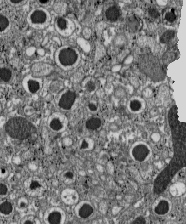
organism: C57BL Mouse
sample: Pancreatic islet